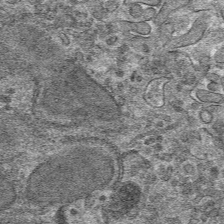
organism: Mouse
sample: Mouse hepatocytes